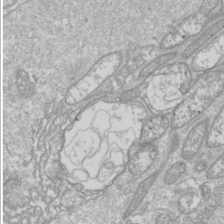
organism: Drosophila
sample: Cell division; meiosis; drosophila spermatocytes